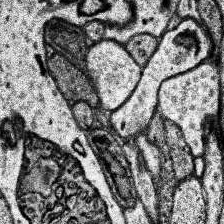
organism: Human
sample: Temporal Lobe